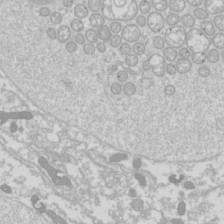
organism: Drosophila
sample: Cell division; meiosis; drosophila spermatocytes